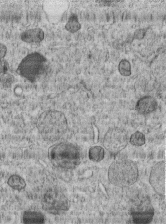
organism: C. elegans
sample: C. elegans embryo early stage